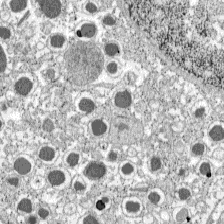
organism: C57BL Mouse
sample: Pancreatic islet